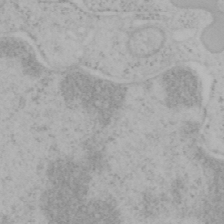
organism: Mouse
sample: OT-I killer T cells with ID8 ovarian cancer cells